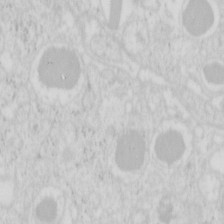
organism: Mouse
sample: Pancreas